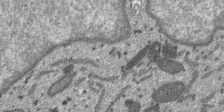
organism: Human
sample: Lung epithelial cells infected with SARS-CoV-2